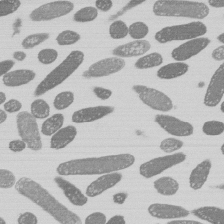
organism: E. coli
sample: Bacterial nucleoid